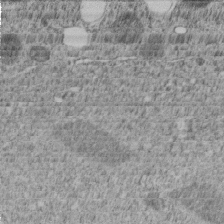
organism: C. elegans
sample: C. elegans embryo early stage